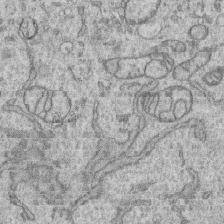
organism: Human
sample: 1205lu cells